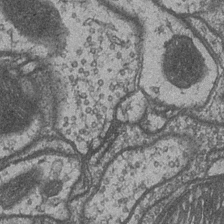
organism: Drosophila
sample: Optic medulla